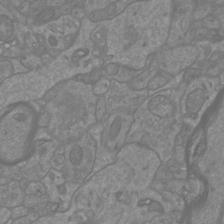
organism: Mouse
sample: Cortical neurons